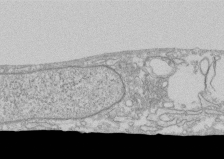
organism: Human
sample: CRL-1474